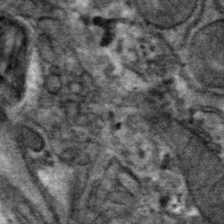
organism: Mouse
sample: Mouse hepatocytes